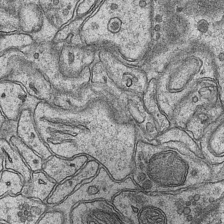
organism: Mouse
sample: CA1 Hippocampus